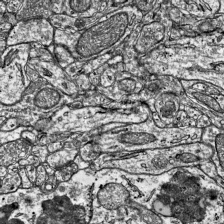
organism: Mouse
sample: Visual Cortex